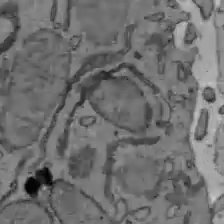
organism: C57BL Mouse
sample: Liver